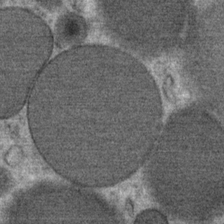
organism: Mouse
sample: Mouse Salivary gland